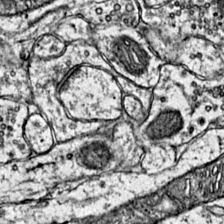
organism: Mouse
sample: Primary visual cortex